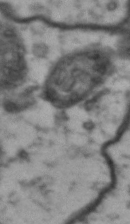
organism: Drosophila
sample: Brain